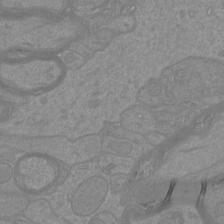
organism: Mouse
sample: Cortical neurons